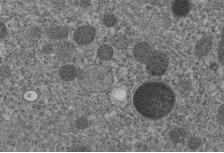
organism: C. elegans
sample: C. elegans embryo early stage